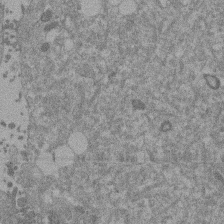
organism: Mouse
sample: Dividing mouse embryo 1 cell stage